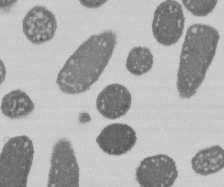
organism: E. coli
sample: Bacterial nucleoid